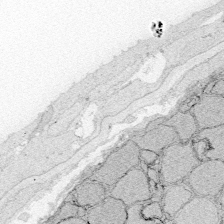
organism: Zebrafish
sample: Whole-Brain